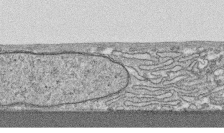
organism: Human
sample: CRL-1474